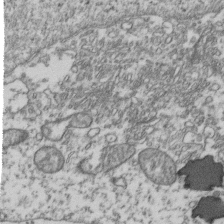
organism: Human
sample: Activated Jurkat CD4+ T cells